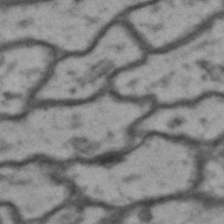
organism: Drosophila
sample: Brain